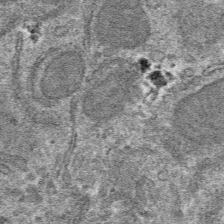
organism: Mouse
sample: Mouse hepatocytes